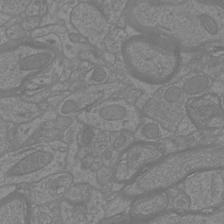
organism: Mouse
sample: Cortical neurons